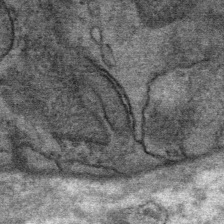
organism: Mouse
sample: Mouse Salivary gland